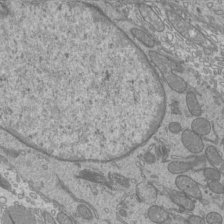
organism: Mouse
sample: Cilia; mouse epididymis